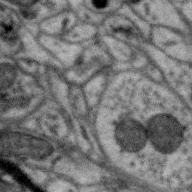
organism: Zebra finch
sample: Brain